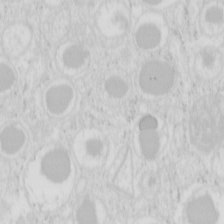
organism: Mouse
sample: Pancreas